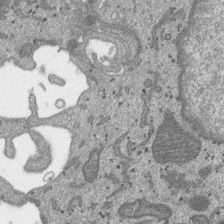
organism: Human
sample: Lung epithelial cells infected with SARS-CoV-2